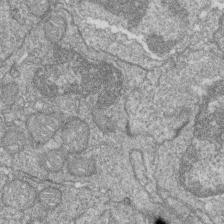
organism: Zebrafish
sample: Cilia; retinal pigment epithelium